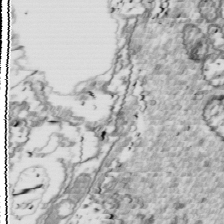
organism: Drosophila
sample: Cell division; meiosis; drosophila spermatocytes